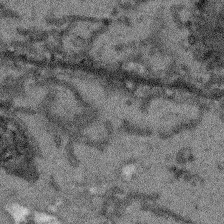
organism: Arabidopsis thaliana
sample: Root tip